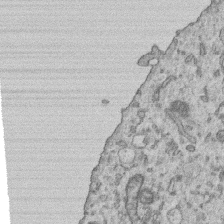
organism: Human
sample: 1205lu cells